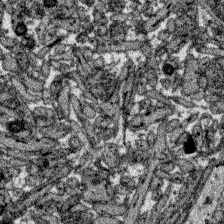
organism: Zebrafish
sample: Larval olfactory bulb